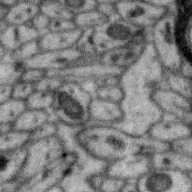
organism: Zebra finch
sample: Brain